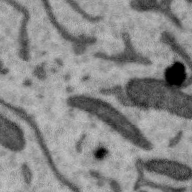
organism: Zebra finch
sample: Brain